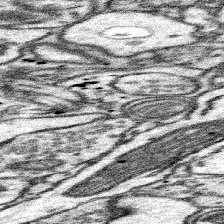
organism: Mouse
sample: Somatosensory cortex neuropil